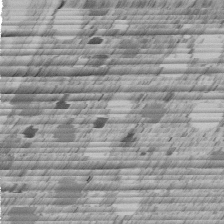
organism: C. elegans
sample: C. elegans embryo early stage